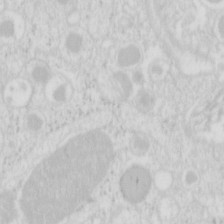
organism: Mouse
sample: Pancreas